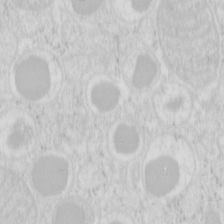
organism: Mouse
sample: Pancreas